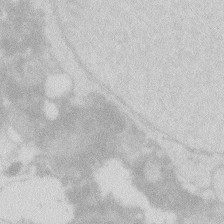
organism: Zebrafish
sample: Macrophage